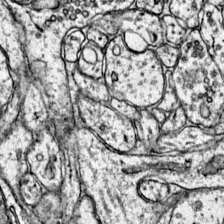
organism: Mouse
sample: Primary visual cortex